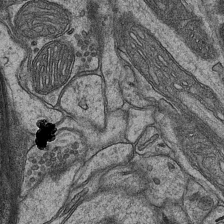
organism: Mouse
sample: CA1 Hippocampus